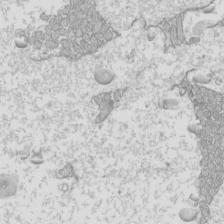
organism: Mouse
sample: Cilia; mouse epididymis